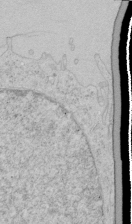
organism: Human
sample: Mitochondria in HCT116 cells